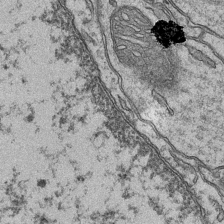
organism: Mouse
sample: CA1 Hippocampus